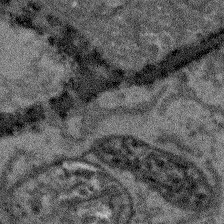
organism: Arabidopsis thaliana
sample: Root tip